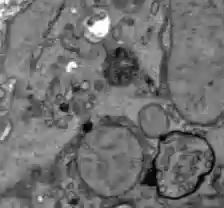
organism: C57BL Mouse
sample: Liver